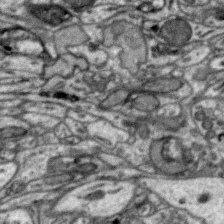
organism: Zebra finch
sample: Brain